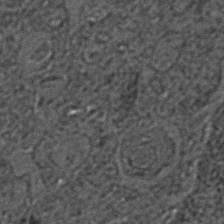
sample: Trachea